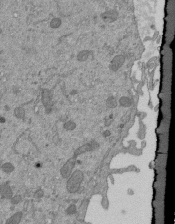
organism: Mouse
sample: ED-1 cell nuclei; centrioles